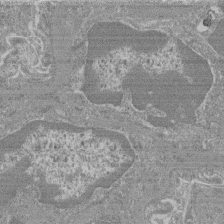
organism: Mouse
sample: Glomerulus